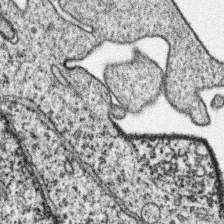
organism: Human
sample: HeLa cells